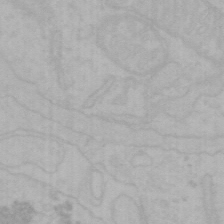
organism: Mouse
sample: Choroid plexus